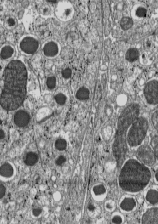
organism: C57BL Mouse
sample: Pancreatic islet